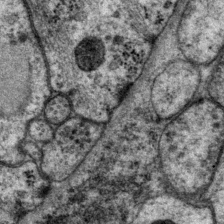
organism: P. pacificus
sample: Pharynx